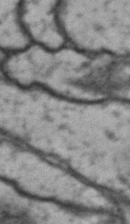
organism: Drosophila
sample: Brain